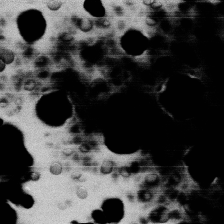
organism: Human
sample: HIV infected U937 cells